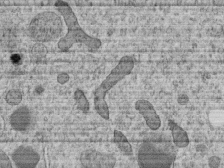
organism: C. elegans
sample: C. elegans embryo early stage